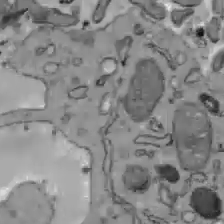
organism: C57BL Mouse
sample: Liver